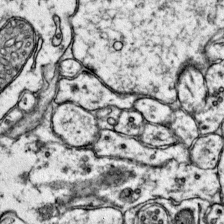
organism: Mouse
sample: Primary visual cortex